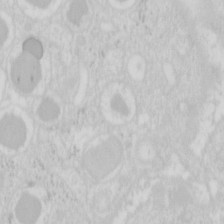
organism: Mouse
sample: Pancreas